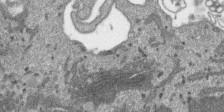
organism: Human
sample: Lung epithelial cells infected with SARS-CoV-2